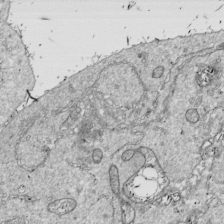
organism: Drosophila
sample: Cell division; meiosis; drosophila spermatocytes